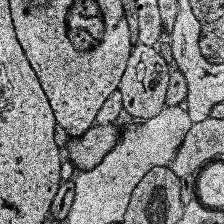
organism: Human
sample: Temporal Lobe